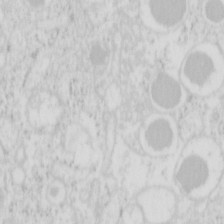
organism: Mouse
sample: Pancreas